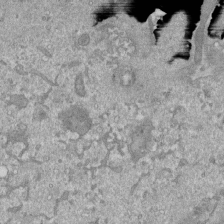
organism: Mouse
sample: ED-1 cell nuclei; centrioles